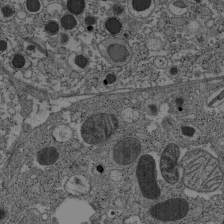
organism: C57BL Mouse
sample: Pancreatic islet